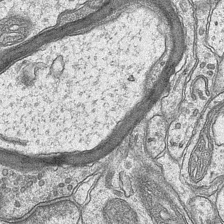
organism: Mouse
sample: CA1 Hippocampus